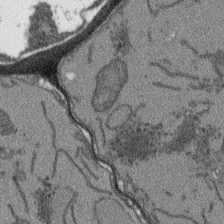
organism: Arabidopsis thaliana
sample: Root tip